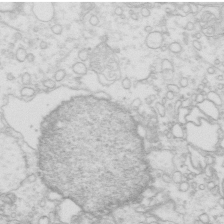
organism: Mouse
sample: Multiciliated cells